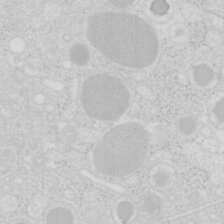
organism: Mouse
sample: Pancreas